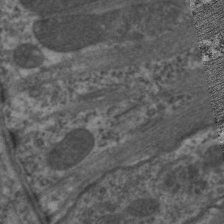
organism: C. elegans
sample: Pharynx